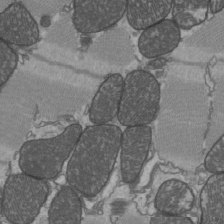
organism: C57BL Mouse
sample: Heart